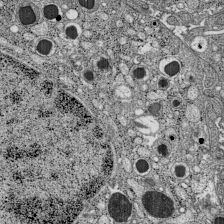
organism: C57BL Mouse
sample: Pancreatic islet